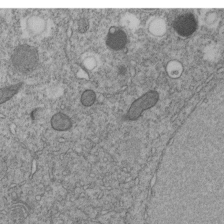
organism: C. elegans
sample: C. elegans embryo early stage